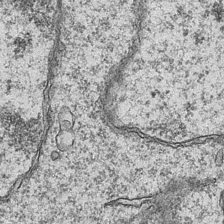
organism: Mouse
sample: CA1 Hippocampus